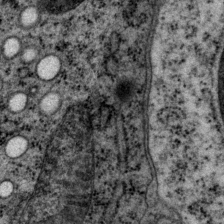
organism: P. pacificus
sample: Pharynx